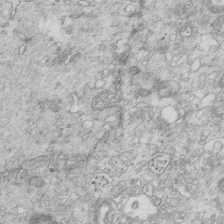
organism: Mouse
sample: Multiciliated cells